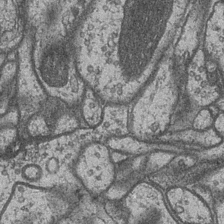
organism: Drosophila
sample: Optic medulla